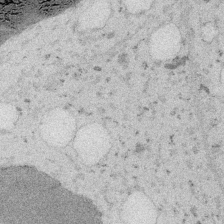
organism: Embia sp.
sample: Silk gland